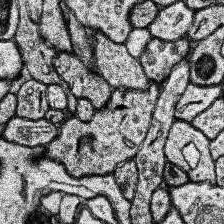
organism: Human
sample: Temporal Lobe